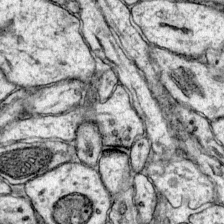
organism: Mouse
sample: Primary visual cortex